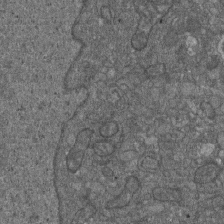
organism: Drosophila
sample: Nephrocyte